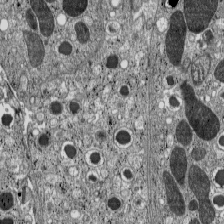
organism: C57BL Mouse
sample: Pancreatic islet